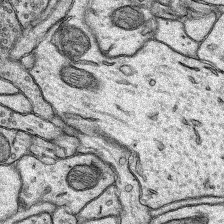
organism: Rat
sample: Hippocampus